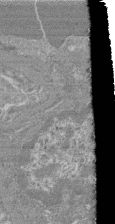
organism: Mouse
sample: Glomerulus